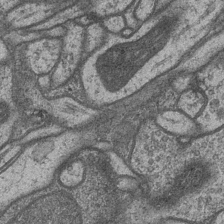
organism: Drosophila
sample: Optic medulla